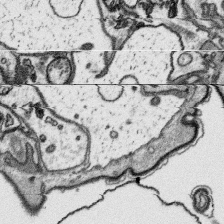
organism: Platynereis dumerilii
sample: Parapodia